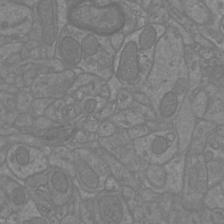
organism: Mouse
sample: Cortical neurons